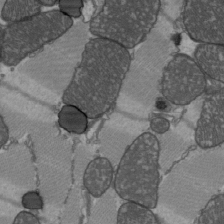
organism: C57BL Mouse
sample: Heart